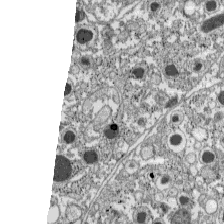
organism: C57BL Mouse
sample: Pancreatic islet